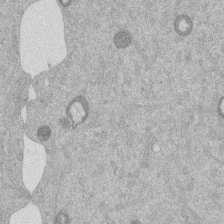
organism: Mouse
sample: Dividing mouse embryo 1 cell stage